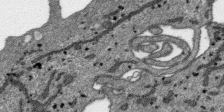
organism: Human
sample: Lung epithelial cells, uninfected (mock) control